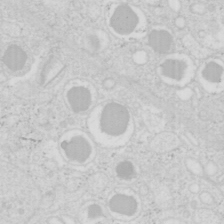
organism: Mouse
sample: Pancreas